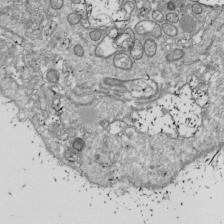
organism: Drosophila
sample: Cell division; meiosis; drosophila spermatocytes